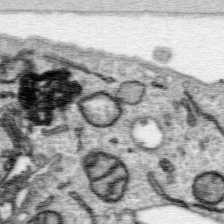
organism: Human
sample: HeLa cells